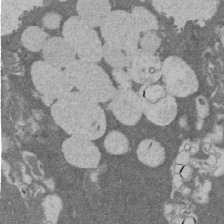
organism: Rat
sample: Salivary granule